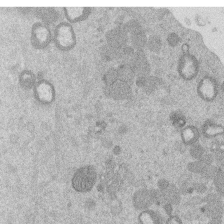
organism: Mouse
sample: Dividing mouse embryo 1 cell stage